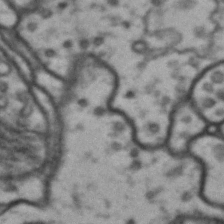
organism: Drosophila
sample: Brain